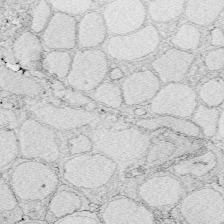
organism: Zebrafish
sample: Whole-Brain